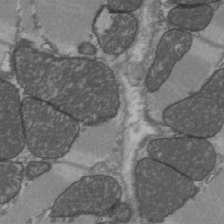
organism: C57BL Mouse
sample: Heart